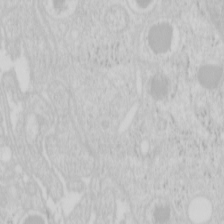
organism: Mouse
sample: Pancreas